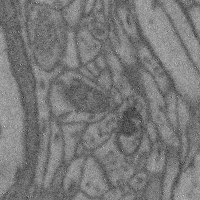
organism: Mouse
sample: Cerebral cortex